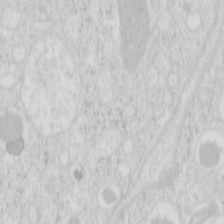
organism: Mouse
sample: Pancreas